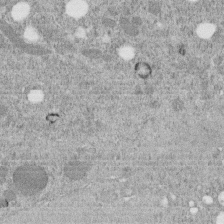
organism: C. elegans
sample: C. elegans embryo early stage